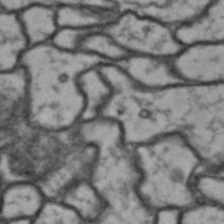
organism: Drosophila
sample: Brain